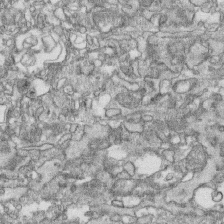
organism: Human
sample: CRL-1474